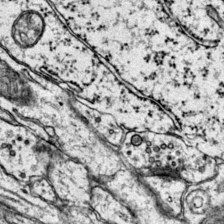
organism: Mouse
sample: Primary visual cortex